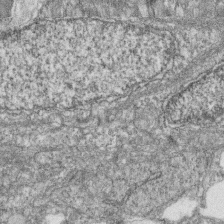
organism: Zebrafish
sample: Cilia; retinal pigment epithelium